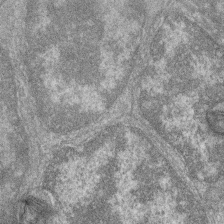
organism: Zebrafish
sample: Cilia; retinal pigment epithelium